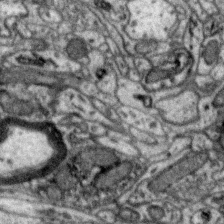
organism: Zebra finch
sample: Brain